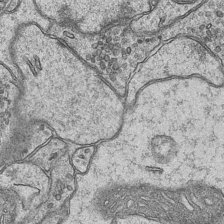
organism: Mouse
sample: CA1 Hippocampus